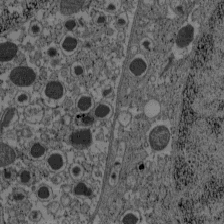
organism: C57BL Mouse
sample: Pancreatic islet